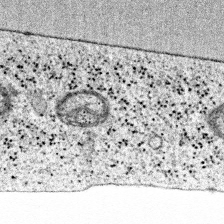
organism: Human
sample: HeLa cells